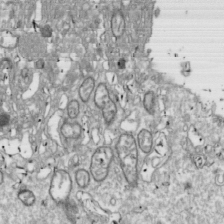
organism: Drosophila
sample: Cell division; meiosis; drosophila spermatocytes